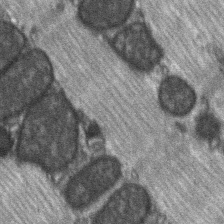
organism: C57BL Mouse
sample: Soleus